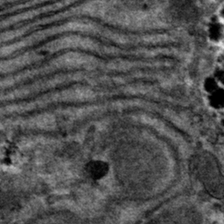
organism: Mouse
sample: Mouse hepatocytes